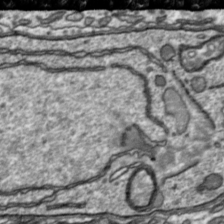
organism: Toxoplasma gondii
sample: Parasites in a vacuole inside a host cell